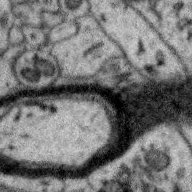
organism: Zebra finch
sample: Brain